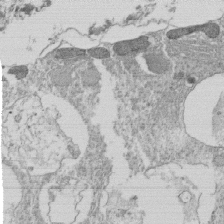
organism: Tetrahymena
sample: Cilia in tetrahymena